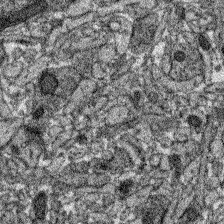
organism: Zebrafish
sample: Larval olfactory bulb